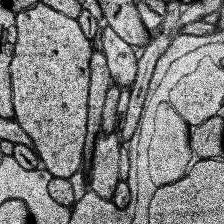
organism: Human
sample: Temporal Lobe